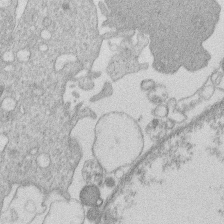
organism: Human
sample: Macrophage cells